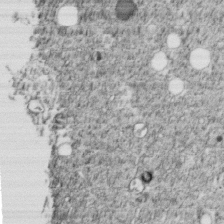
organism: C. elegans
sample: C. elegans embryo early stage